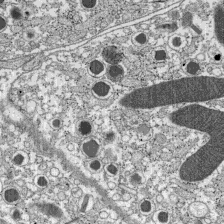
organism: C57BL Mouse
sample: Pancreatic islet